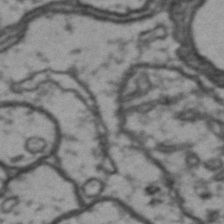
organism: Drosophila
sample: Brain